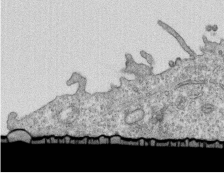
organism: Human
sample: HeLa cell HIV synapse